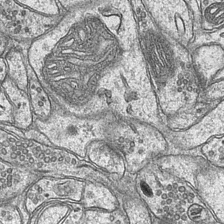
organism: Mouse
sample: CA1 Hippocampus